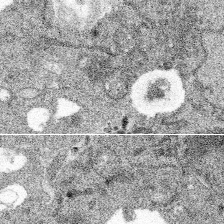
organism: Spongilla lacustris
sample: Multiple